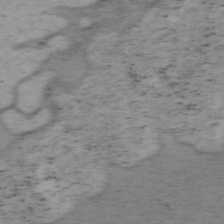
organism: Mouse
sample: OT-I killer T cells with ID8 ovarian cancer cells